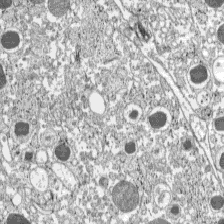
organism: C57BL Mouse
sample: Pancreatic islet